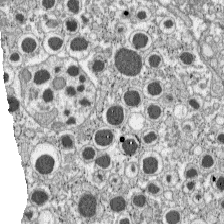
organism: C57BL Mouse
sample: Pancreatic islet